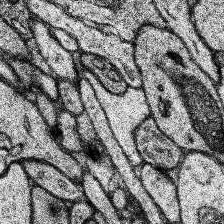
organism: Human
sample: Temporal Lobe